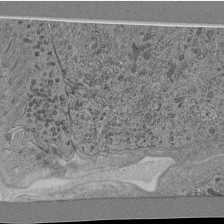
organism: C. elegans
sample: C. elegans pharynx